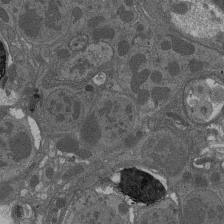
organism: Drosophila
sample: Antenna